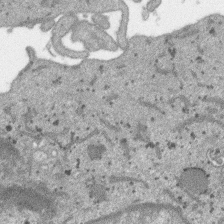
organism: Human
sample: Lung epithelial cells infected with SARS-CoV-2